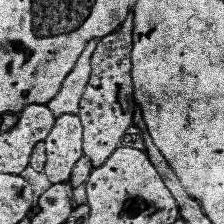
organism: Human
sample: Temporal Lobe